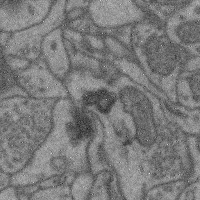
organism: Mouse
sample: Cerebral cortex